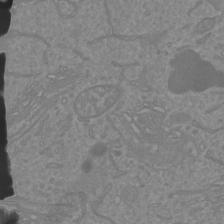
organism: Mouse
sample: Cortical neurons